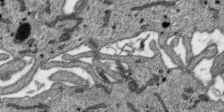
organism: Human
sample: Lung epithelial cells, uninfected (mock) control